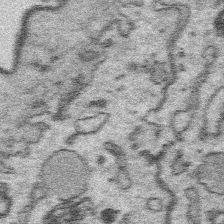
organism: Platynereis dumerilii